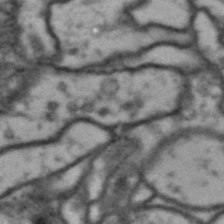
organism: Drosophila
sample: Brain